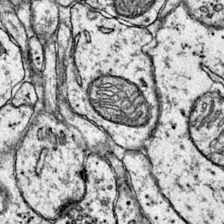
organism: Mouse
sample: Primary visual cortex